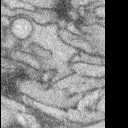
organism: Rabbit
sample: Retina